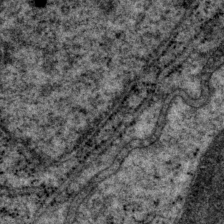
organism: P. pacificus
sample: Pharynx